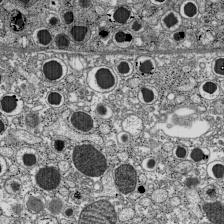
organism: C57BL Mouse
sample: Pancreatic islet